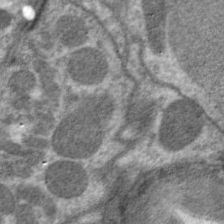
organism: C. elegans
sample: Pharynx